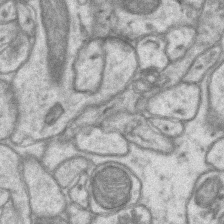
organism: Mouse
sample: CA1 Hippocampus